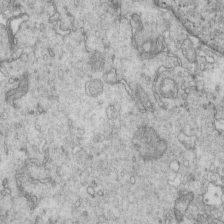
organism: Mouse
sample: Multiciliated cells